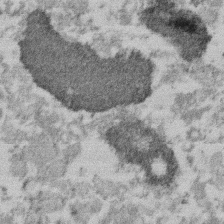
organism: Mouse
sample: Dividing mouse embryo 1 cell stage